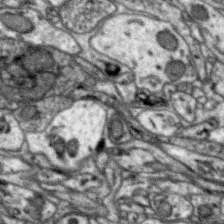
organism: Zebra finch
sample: Brain